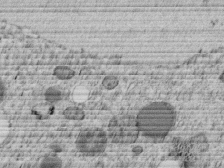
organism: C. elegans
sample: C. elegans embryo early stage